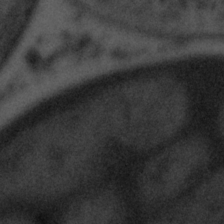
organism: Tuwongella immobilis